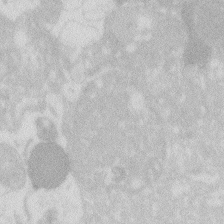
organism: Zebrafish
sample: Macrophage